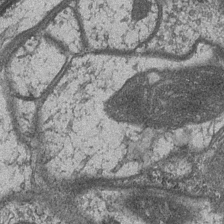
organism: Drosophila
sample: Optic medulla